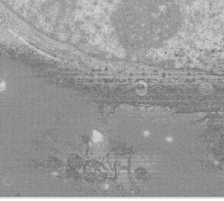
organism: Human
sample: Macrophage cells